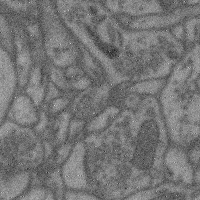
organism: Mouse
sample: Cerebral cortex